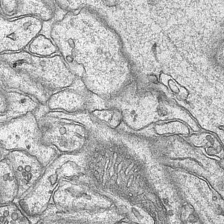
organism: Mouse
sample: CA1 Hippocampus